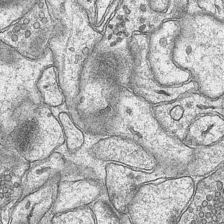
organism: Mouse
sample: CA1 Hippocampus